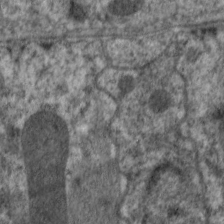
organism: C. elegans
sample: Pharynx